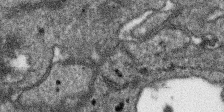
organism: Human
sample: Lung epithelial cells infected with SARS-CoV-2